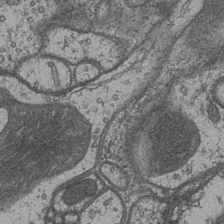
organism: Drosophila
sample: Optic medulla